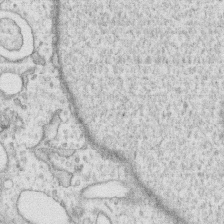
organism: Human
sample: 1205lu cells